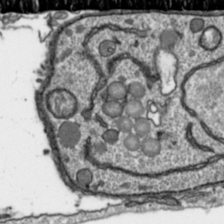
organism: Toxoplasma gondii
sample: Parasites in a vacuole inside a host cell